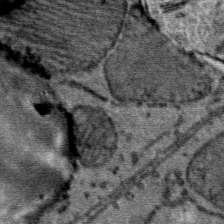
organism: Mouse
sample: Mouse Salivary gland